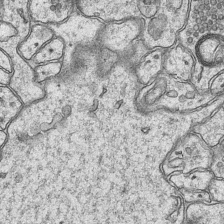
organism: Mouse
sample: CA1 Hippocampus